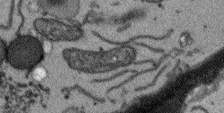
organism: Arabidopsis thaliana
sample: Root tip